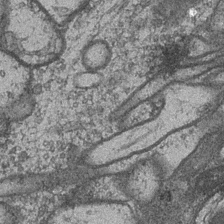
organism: Drosophila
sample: Optic medulla